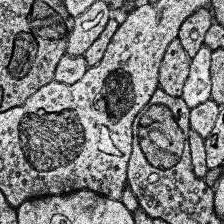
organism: Human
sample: Temporal Lobe